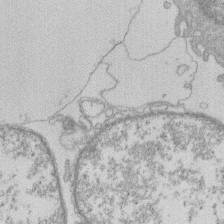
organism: Human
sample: Macrophage cells